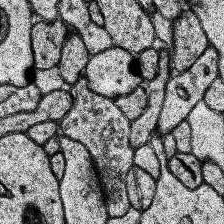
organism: Human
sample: Temporal Lobe